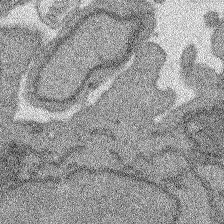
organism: Human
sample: HeLa cells